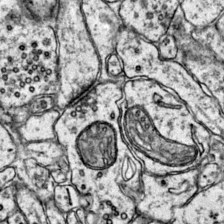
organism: Mouse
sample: Primary visual cortex